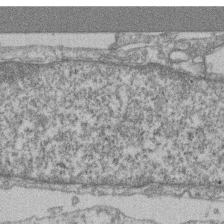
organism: Mouse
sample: T cell stromal cell synapse